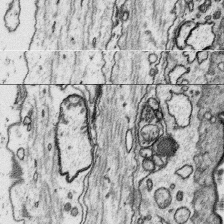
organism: Platynereis dumerilii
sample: Parapodia